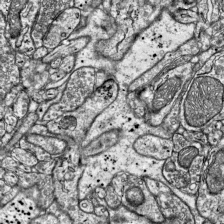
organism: Mouse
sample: Visual Cortex